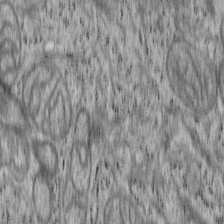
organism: Human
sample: HeLa cells